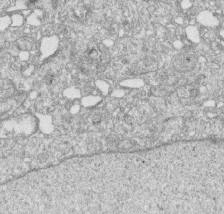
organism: Human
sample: HeLa cell HIV synapse